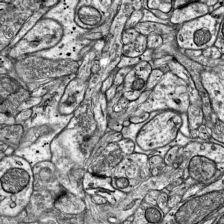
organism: Mouse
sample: Visual Cortex